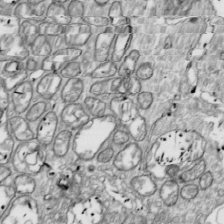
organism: Drosophila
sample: Cell division; meiosis; drosophila spermatocytes